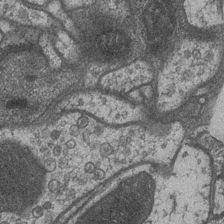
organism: Drosophila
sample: Optic medulla